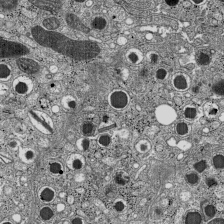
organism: C57BL Mouse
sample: Pancreatic islet